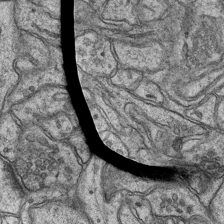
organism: Mouse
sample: CA1 Hippocampus